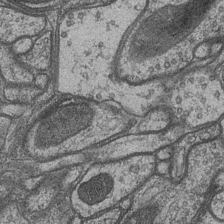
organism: Drosophila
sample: Optic medulla